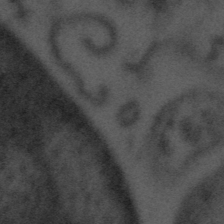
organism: Tuwongella immobilis